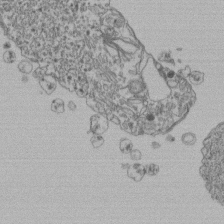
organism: Human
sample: Retinal organoid Rod and Cone cells